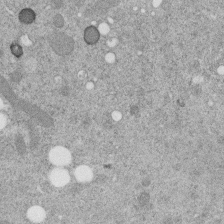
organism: C. elegans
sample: C. elegans embryo early stage